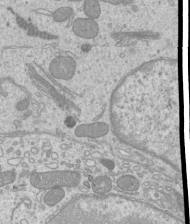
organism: Mouse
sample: Cilia; mouse epididymis